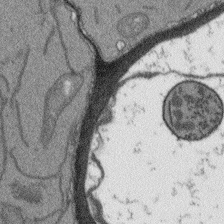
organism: Arabidopsis thaliana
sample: Root tip